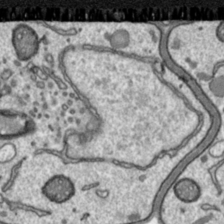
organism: Toxoplasma gondii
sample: Parasites in a vacuole inside a host cell